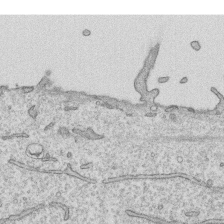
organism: Human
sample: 1205lu cells